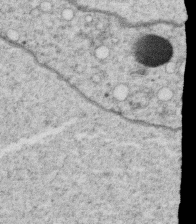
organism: C. elegans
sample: C. elegans oocyte; sperm cells